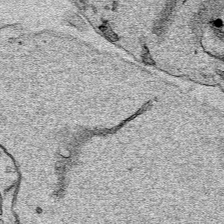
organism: Human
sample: Mitochondria in HCT116 cells